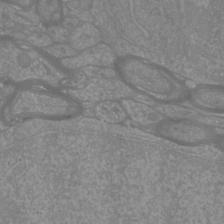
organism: Mouse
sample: Cortical neurons